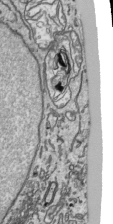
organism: Human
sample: Mitochondria in HCT116 cells